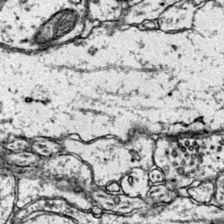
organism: Mouse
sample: Primary visual cortex